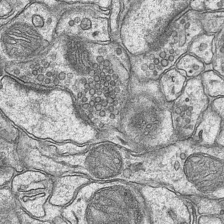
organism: Mouse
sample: CA1 Hippocampus